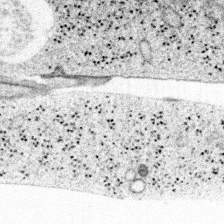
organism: Human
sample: HeLa cells